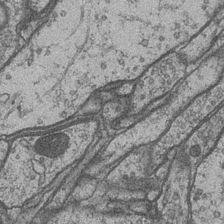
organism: Drosophila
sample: Optic medulla